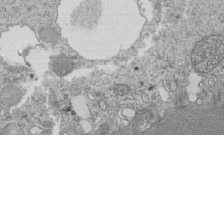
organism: Tetrahymena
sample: Cilia in tetrahymena